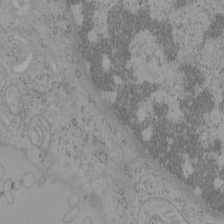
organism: Mouse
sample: OT-I killer T cells with ID8 ovarian cancer cells